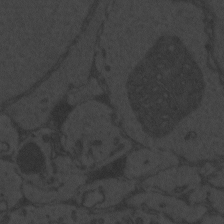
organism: Zebrafish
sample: Macrophage infected with Toxoplasma gondii